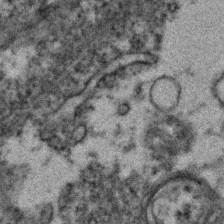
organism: Zebrafish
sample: Zebrafish embryo